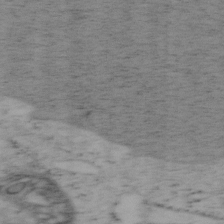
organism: Mouse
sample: OT-I killer T cells with ID8 ovarian cancer cells